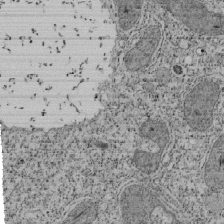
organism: Tetrahymena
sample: Cilia in tetrahymena